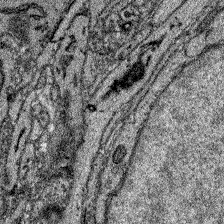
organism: Zebrafish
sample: Larval olfactory bulb